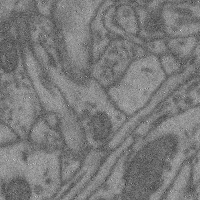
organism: Mouse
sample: Cerebral cortex